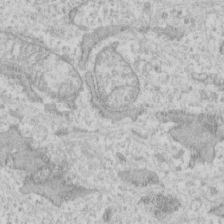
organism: Human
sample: Fibroblast cells